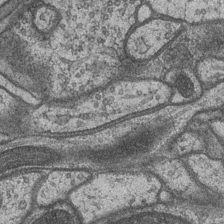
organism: Drosophila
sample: Optic medulla